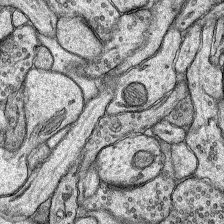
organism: Rat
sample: Hippocampus